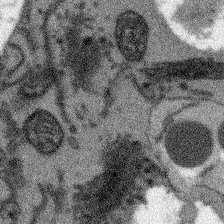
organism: Arabidopsis thaliana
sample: Root tip